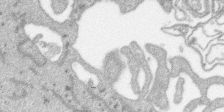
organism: Human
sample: Lung epithelial cells infected with SARS-CoV-2